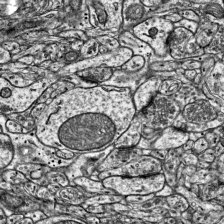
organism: Mouse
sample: Visual Cortex